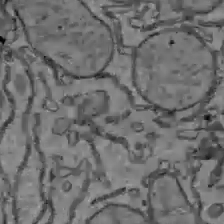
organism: C57BL Mouse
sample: Liver